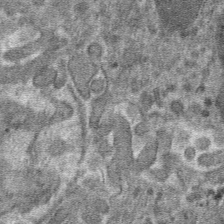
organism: Mouse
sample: Mouse hepatocytes